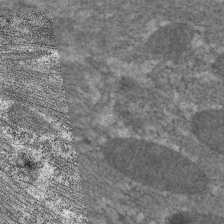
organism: C. elegans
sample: Pharynx